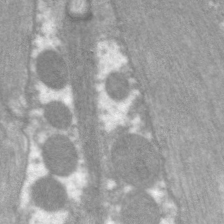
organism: C. elegans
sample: Pharynx